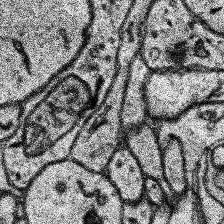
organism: Human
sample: Temporal Lobe